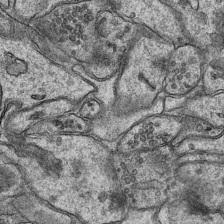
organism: Mouse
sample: CA1 Hippocampus